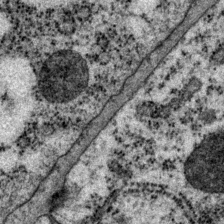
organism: P. pacificus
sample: Pharynx